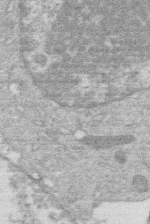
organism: Human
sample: Macrophage cells